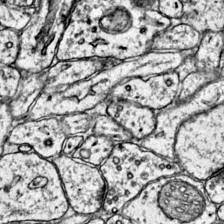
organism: Mouse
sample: Primary visual cortex